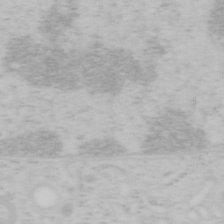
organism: Mouse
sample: OT-I killer T cells with ID8 ovarian cancer cells